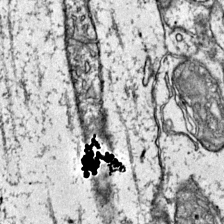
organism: Mouse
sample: Primary visual cortex